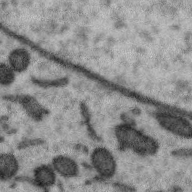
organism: Zebra finch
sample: Brain